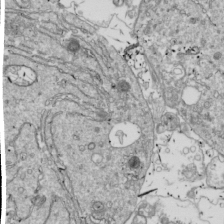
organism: Drosophila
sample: Cell division; meiosis; drosophila spermatocytes